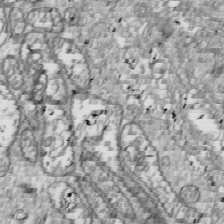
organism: Drosophila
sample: Cell division; meiosis; drosophila spermatocytes